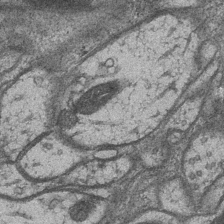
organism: Drosophila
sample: Optic medulla